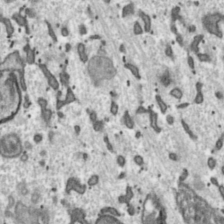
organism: Toxoplasma gondii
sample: Parasites in a vacuole inside a host cell